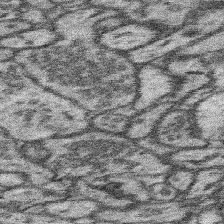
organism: Mouse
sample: Somatosensory cortex neuropil